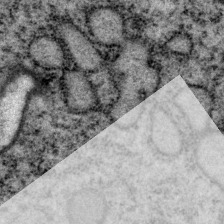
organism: P. pacificus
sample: Pharynx